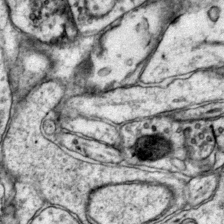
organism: Mouse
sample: Primary visual cortex